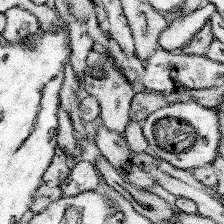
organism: Mouse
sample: Somatosensory cortex neuropil